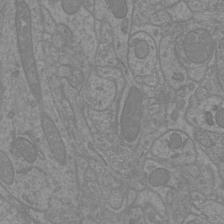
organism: Mouse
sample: Cortical neurons